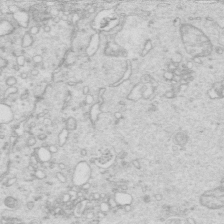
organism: Mouse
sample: Multiciliated cells